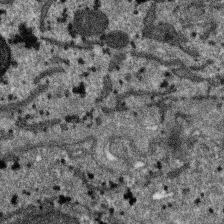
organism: Human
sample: Lung epithelial cells infected with SARS-CoV-2